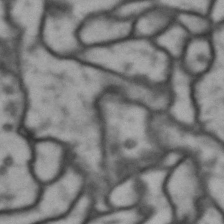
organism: Drosophila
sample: Brain